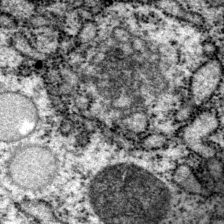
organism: P. pacificus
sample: Pharynx